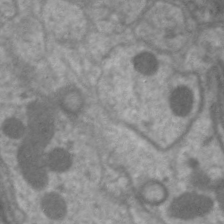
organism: C. elegans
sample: Pharynx